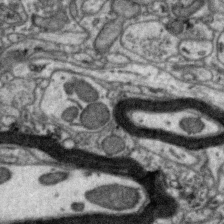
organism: Zebra finch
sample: Brain